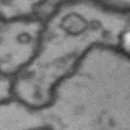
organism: Drosophila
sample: Brain